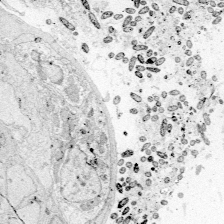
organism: Zebrafish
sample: Whole-Brain